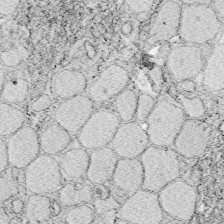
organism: Zebrafish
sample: Whole-Brain